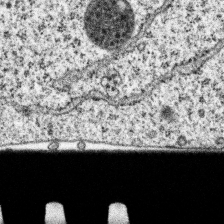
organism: Human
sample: HeLa cells